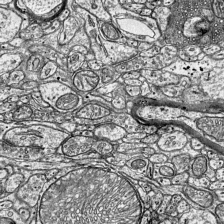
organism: Mouse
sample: Visual Cortex